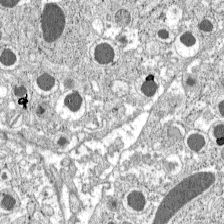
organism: C57BL Mouse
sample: Pancreatic islet